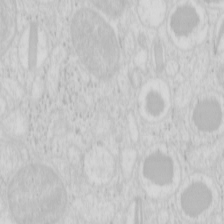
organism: Mouse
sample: Pancreas